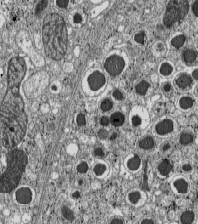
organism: C57BL Mouse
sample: Pancreatic islet